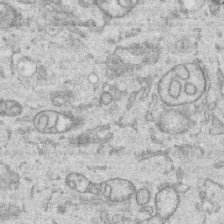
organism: Human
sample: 1205lu cells